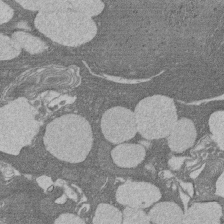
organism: Rat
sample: Salivary granule